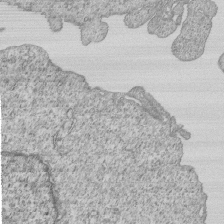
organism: Human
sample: MDA-MB-231 cells